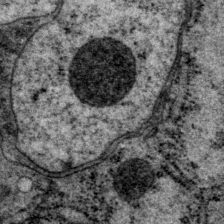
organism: P. pacificus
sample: Pharynx